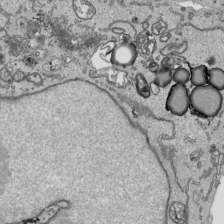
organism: Human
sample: Mitochondria in HCT116 cells